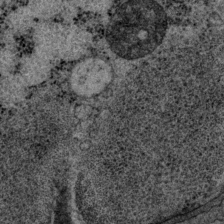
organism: P. pacificus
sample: Pharynx